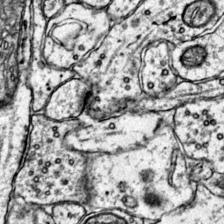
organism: Mouse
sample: Primary visual cortex